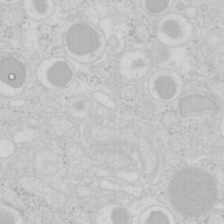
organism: Mouse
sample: Pancreas